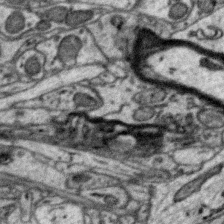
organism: Zebra finch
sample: Brain